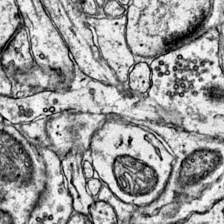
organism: Mouse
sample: Primary visual cortex